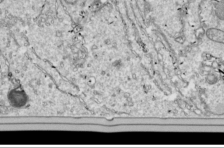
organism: Drosophila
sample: Cell division; meiosis; drosophila spermatocytes